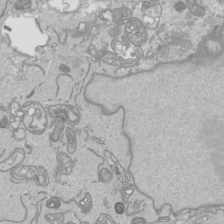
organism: Human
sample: Mitochondria in HCT116 cells